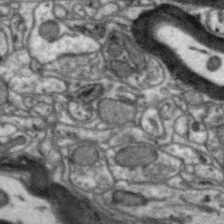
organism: Zebra finch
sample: Brain